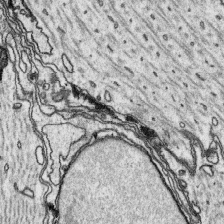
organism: Platynereis dumerilii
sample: Parapodia